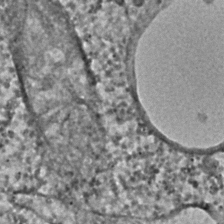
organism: C. elegans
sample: C. elegans embryo